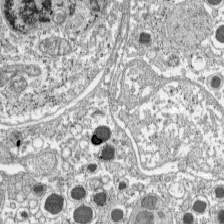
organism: C57BL Mouse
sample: Pancreatic islet